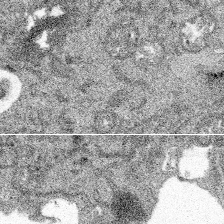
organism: Spongilla lacustris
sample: Multiple